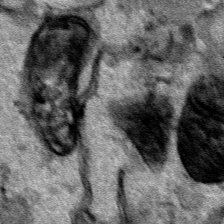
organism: Human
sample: Mitochondria in HCT116 cells